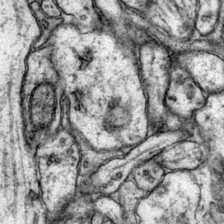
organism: Mouse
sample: Primary visual cortex